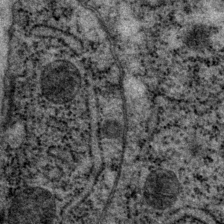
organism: P. pacificus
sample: Pharynx